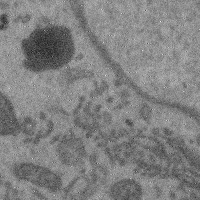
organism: Mouse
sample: Cerebral cortex